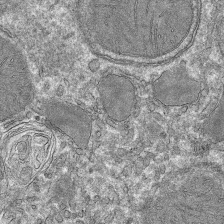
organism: Mouse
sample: Mouse hepatocytes